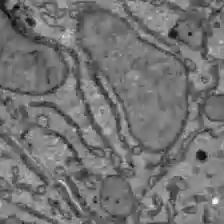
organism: C57BL Mouse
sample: Liver